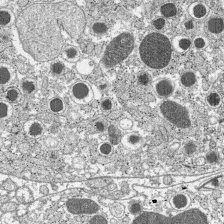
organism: C57BL Mouse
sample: Pancreatic islet